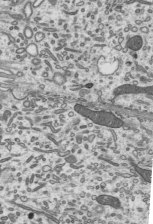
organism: Mouse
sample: Mouse epididymis efferent ductule cilia